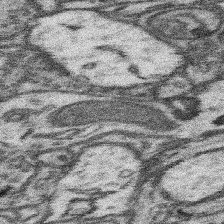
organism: Mouse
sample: Somatosensory cortex neuropil